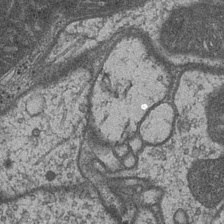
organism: Drosophila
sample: Optic medulla